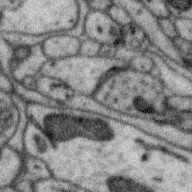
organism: Zebra finch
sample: Brain